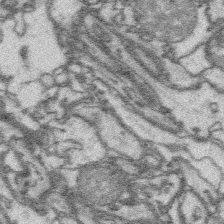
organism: Platynereis dumerilii